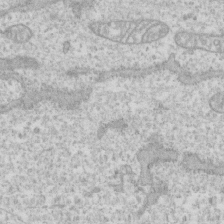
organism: Human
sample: CRL-1474